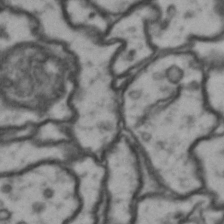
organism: Drosophila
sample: Brain